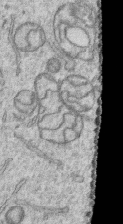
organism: Human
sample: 1205lu cells